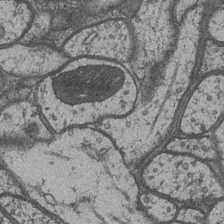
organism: Drosophila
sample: Optic medulla